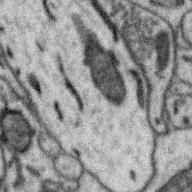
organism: Zebra finch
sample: Brain